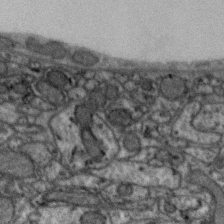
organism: Zebra finch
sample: Brain